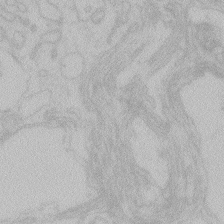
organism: Zebrafish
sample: Macrophage infected with Toxoplasma gondii